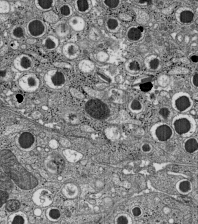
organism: C57BL Mouse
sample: Pancreatic islet